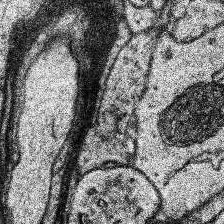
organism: Human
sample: Temporal Lobe